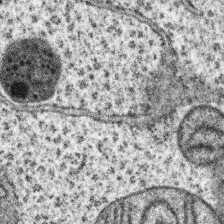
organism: Human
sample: HeLa cells